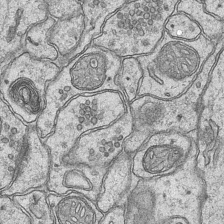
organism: Mouse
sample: CA1 Hippocampus